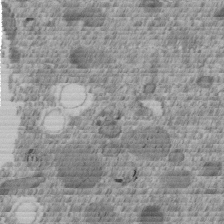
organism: C. elegans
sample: C. elegans embryo early stage